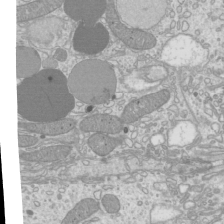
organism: Mouse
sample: Cilia; mouse epididymis